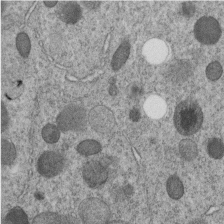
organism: C. elegans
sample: C. elegans embryo early stage